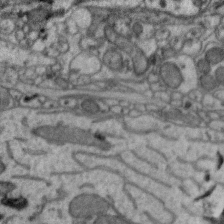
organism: Zebra finch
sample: Brain